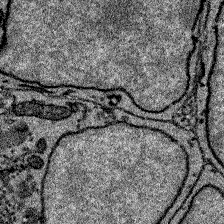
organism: Zebrafish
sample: Larval olfactory bulb